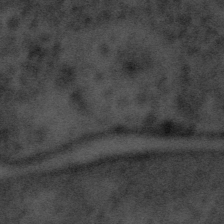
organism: Tuwongella immobilis